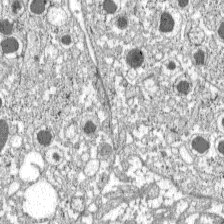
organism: C57BL Mouse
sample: Pancreatic islet